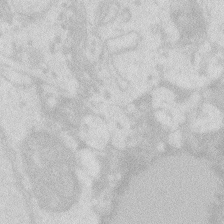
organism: Zebrafish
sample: Macrophage